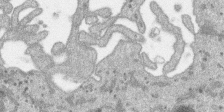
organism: Human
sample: Lung epithelial cells infected with SARS-CoV-2